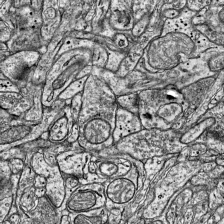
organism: Mouse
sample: Visual Cortex